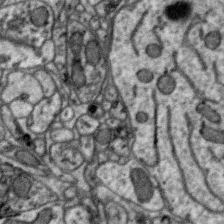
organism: Zebra finch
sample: Brain